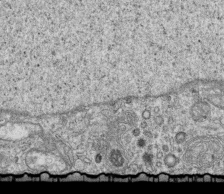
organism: Human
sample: HeLa cell HIV synapse